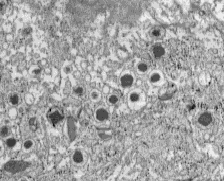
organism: C57BL Mouse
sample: Pancreatic islet